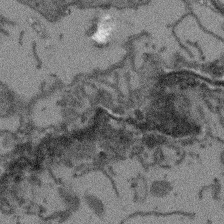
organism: Arabidopsis thaliana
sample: Root tip